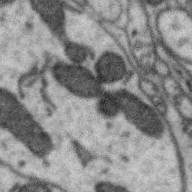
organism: Zebra finch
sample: Brain